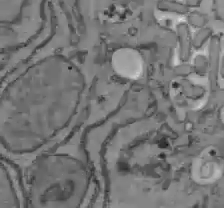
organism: C57BL Mouse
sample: Liver